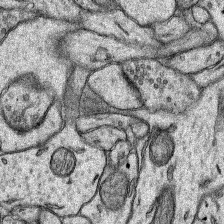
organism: Rat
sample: Hippocampus